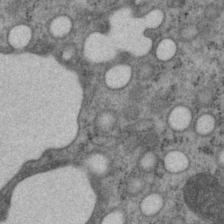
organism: P. pacificus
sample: Pharynx